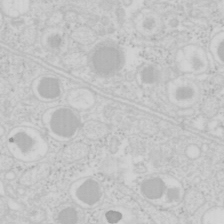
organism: Mouse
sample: Pancreas